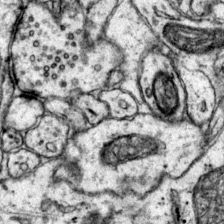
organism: Mouse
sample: Primary visual cortex